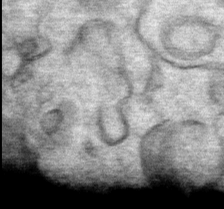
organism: Mouse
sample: Mouse Salivary gland